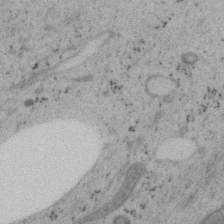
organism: Human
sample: HeLa cells